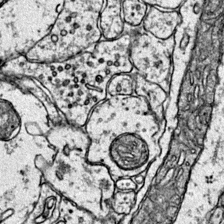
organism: Mouse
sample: Primary visual cortex